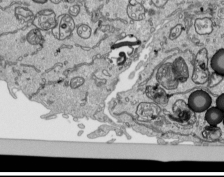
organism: Human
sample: Mitochondria in HCT116 cells